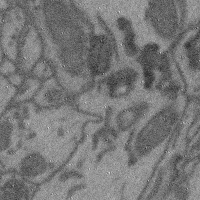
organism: Mouse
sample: Cerebral cortex